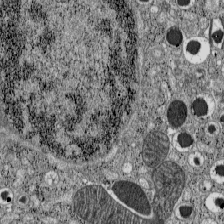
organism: C57BL Mouse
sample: Pancreatic islet